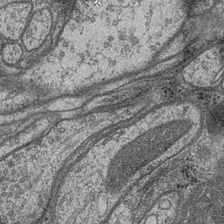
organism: Drosophila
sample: Optic medulla